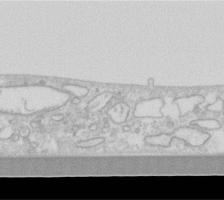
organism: Human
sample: Fibroblast cells